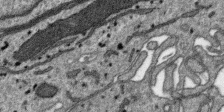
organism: Human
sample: Lung epithelial cells, uninfected (mock) control